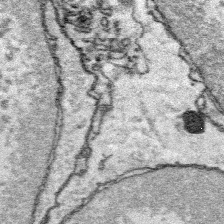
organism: Platynereis dumerilii